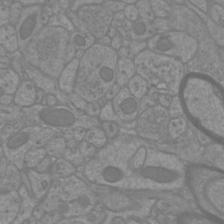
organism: Mouse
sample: Cortical neurons